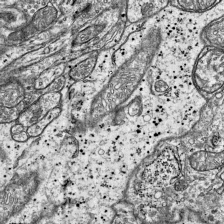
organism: Mouse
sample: Visual Cortex